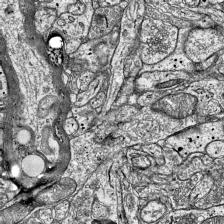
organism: Mouse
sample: Visual Cortex